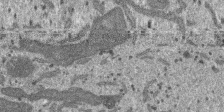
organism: Human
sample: Lung epithelial cells infected with SARS-CoV-2